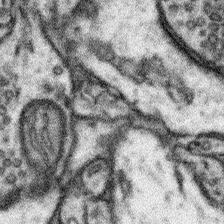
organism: Mouse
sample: Somatosensory cortex neuropil